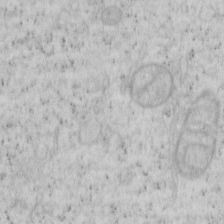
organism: Human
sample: HeLa cells